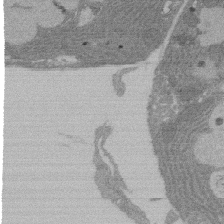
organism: Rat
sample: Salivary granule